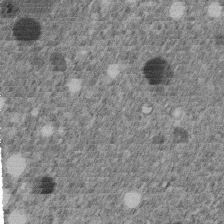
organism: C. elegans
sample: C. elegans embryo early stage